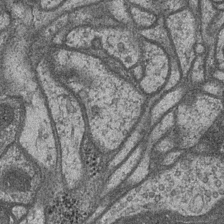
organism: Drosophila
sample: Optic medulla